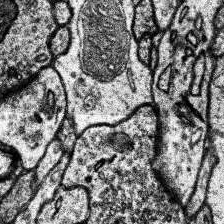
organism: Human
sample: Temporal Lobe